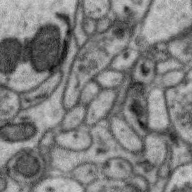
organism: Zebra finch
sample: Brain